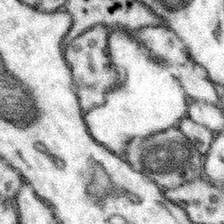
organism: Mouse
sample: Somatosensory cortex neuropil